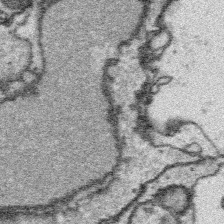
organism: Platynereis dumerilii